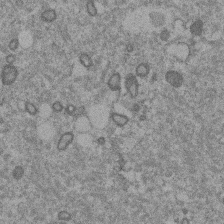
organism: Mouse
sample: Dividing mouse embryo 1 cell stage